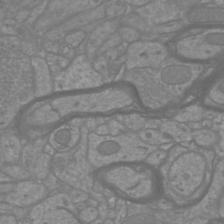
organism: Mouse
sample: Cortical neurons